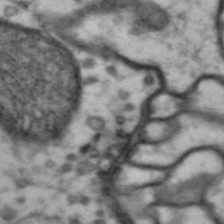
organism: Drosophila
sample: Brain